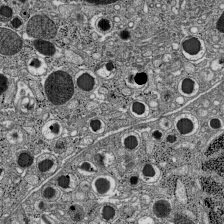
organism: C57BL Mouse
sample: Pancreatic islet